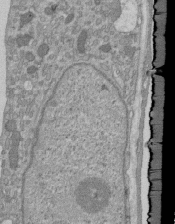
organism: Mouse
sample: ED-1 cell nuclei; centrioles